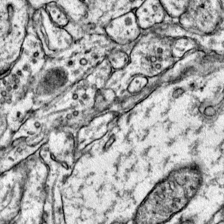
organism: Mouse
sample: Primary visual cortex